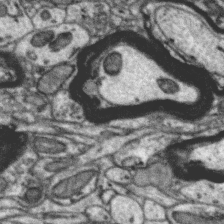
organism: Zebra finch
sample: Brain